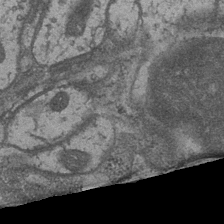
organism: Drosophila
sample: Optic medulla